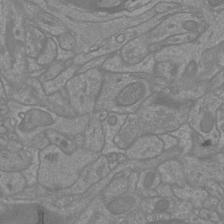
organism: Mouse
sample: Cortical neurons